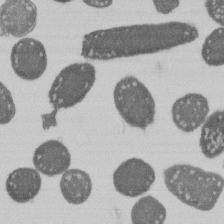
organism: E. coli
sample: Bacterial nucleoid